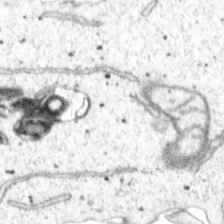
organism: Human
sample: HeLa cells